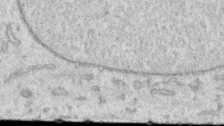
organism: Human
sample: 1205lu cells